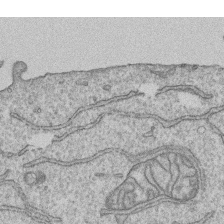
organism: Human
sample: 1205lu cells